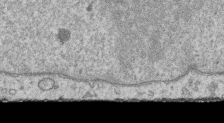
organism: Human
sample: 1205lu cells